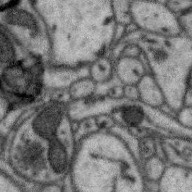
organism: Zebra finch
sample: Brain